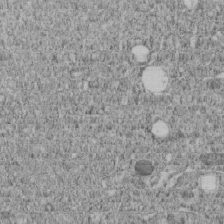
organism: C. elegans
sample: C. elegans embryo early stage